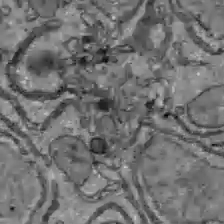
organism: C57BL Mouse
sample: Liver